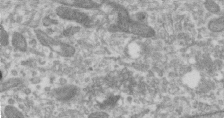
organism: Human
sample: Centriole in RPE cells